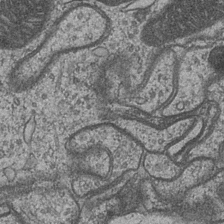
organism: Drosophila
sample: Optic medulla